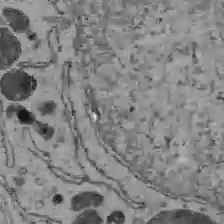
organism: C57BL Mouse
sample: Liver